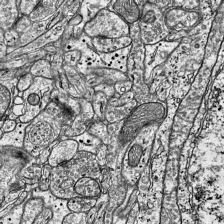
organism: Mouse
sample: Visual Cortex